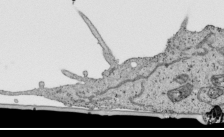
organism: Human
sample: Mitochondria in HCT116 cells